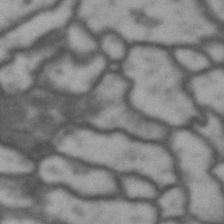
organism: Drosophila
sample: Brain